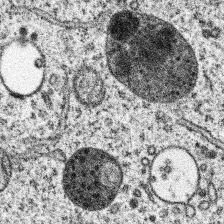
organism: Human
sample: HeLa cells